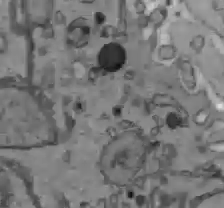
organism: C57BL Mouse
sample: Liver